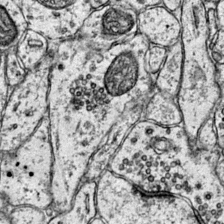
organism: Mouse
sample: Primary visual cortex